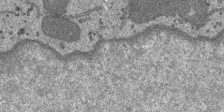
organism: Human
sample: Lung epithelial cells infected with SARS-CoV-2